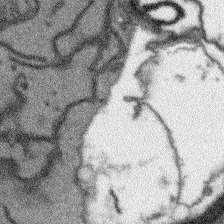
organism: Arabidopsis thaliana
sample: Root tip